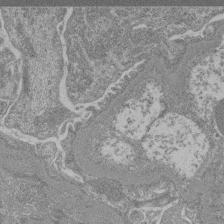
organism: Mouse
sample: Glomerulus